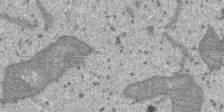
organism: Human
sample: Lung epithelial cells infected with SARS-CoV-2